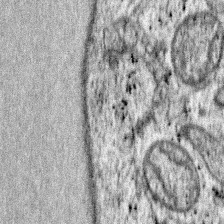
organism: Human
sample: HeLa cells